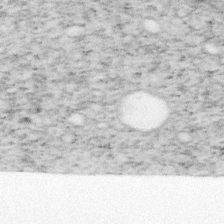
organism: Mouse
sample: OT-I killer T cells with ID8 ovarian cancer cells